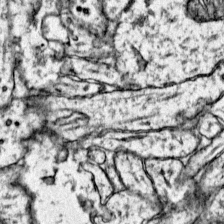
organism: Mouse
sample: Primary visual cortex